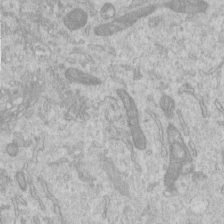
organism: Human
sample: Centriole in RPE cells